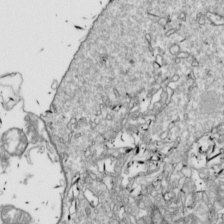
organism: Drosophila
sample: Cell division; meiosis; drosophila spermatocytes